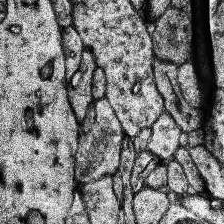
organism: Human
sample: Temporal Lobe